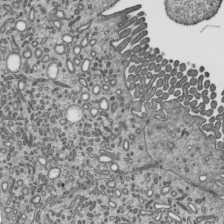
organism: Mouse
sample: Mouse epididymis efferent ductule cilia